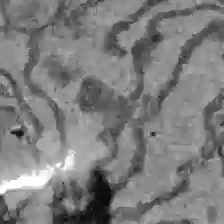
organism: C57BL Mouse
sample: Liver